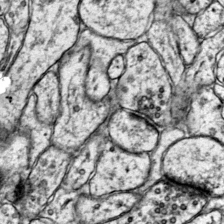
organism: Mouse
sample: Primary visual cortex